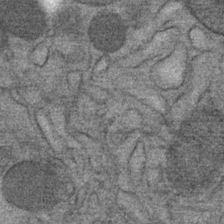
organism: Mouse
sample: Mouse Salivary gland